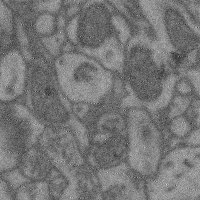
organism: Mouse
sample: Cerebral cortex